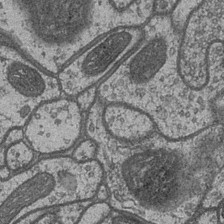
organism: Drosophila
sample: Optic medulla